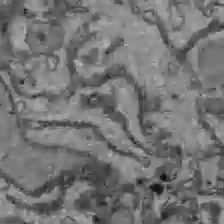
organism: C57BL Mouse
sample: Liver